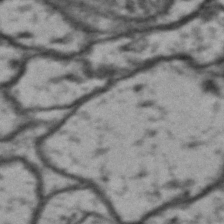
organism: Drosophila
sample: Brain